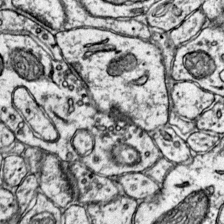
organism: Mouse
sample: Primary visual cortex